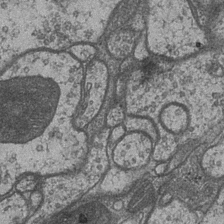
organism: Drosophila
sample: Optic medulla